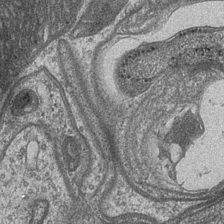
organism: Drosophila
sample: Optic medulla